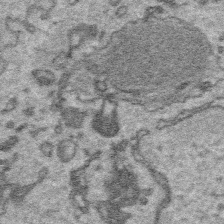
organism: Platynereis dumerilii